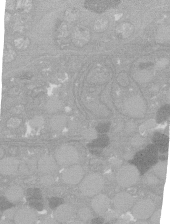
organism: C. elegans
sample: C. elegans oocyte; sperm cells